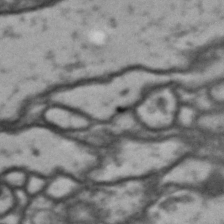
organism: Drosophila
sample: Brain